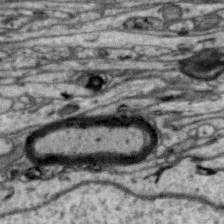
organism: Zebra finch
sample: Brain